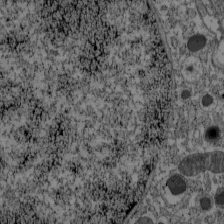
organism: C57BL Mouse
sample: Pancreatic islet